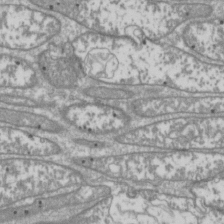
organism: Drosophila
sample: Cell division; meiosis; drosophila spermatocytes